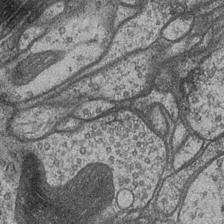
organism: Drosophila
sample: Optic medulla